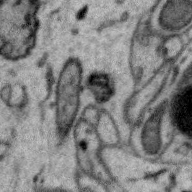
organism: Zebra finch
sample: Brain